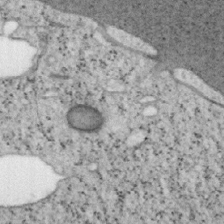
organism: Mouse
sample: OT-I killer T cells with ID8 ovarian cancer cells